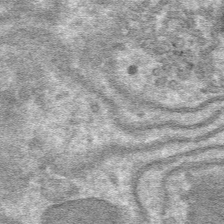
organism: Mouse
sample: Mouse hepatocytes